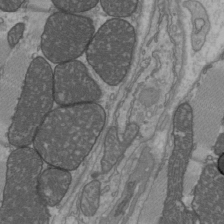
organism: C57BL Mouse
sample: Heart